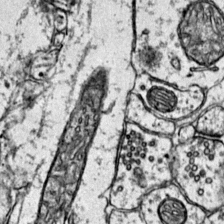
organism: Mouse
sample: Primary visual cortex